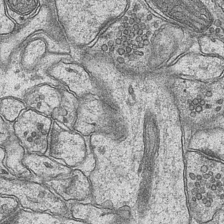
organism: Mouse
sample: CA1 Hippocampus